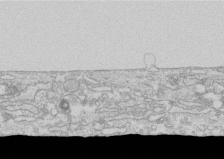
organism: Human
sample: CRL-1474